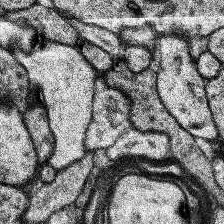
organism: Human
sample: Temporal Lobe